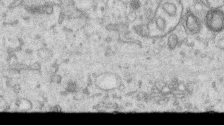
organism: Human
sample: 1205lu cells